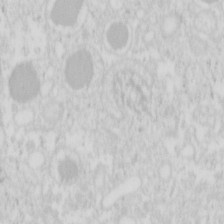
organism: Mouse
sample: Pancreas